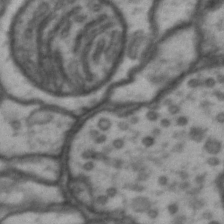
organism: Drosophila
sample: Brain